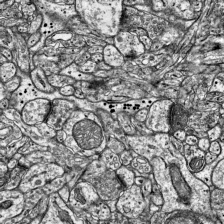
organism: Mouse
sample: Visual Cortex